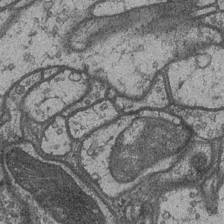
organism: Drosophila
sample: Optic medulla